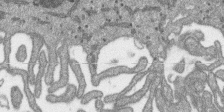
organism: Human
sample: Lung epithelial cells infected with SARS-CoV-2